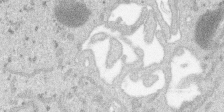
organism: Human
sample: Lung epithelial cells infected with SARS-CoV-2